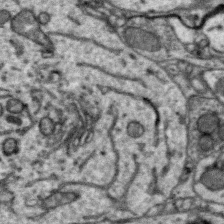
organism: Zebra finch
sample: Brain